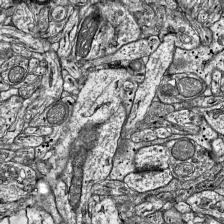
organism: Mouse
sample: Visual Cortex